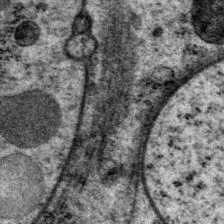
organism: P. pacificus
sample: Pharynx